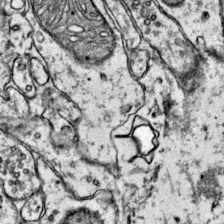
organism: Mouse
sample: Primary visual cortex